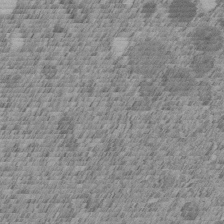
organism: C. elegans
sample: C. elegans embryo early stage